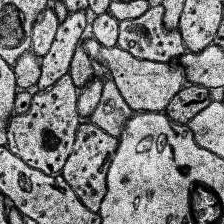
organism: Human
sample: Temporal Lobe